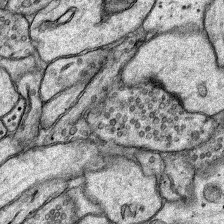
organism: Rat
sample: Hippocampus